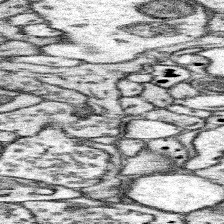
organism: Mouse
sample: Somatosensory cortex neuropil